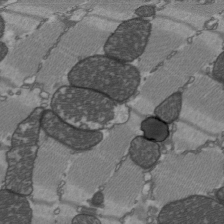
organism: C57BL Mouse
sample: Heart